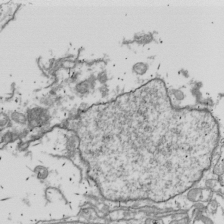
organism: Drosophila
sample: Cell division; meiosis; drosophila spermatocytes